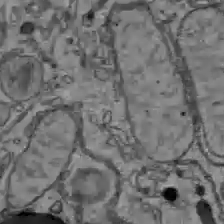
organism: C57BL Mouse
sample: Liver